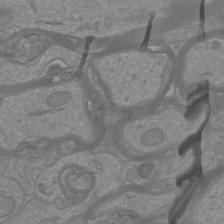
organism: Mouse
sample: Cortical neurons